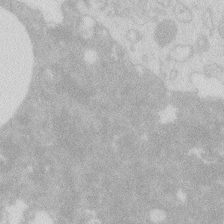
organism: Zebrafish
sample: Macrophage